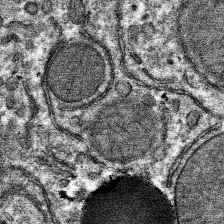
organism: Mouse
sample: Mouse hepatocytes